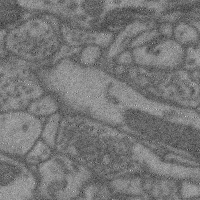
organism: Mouse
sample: Cerebral cortex